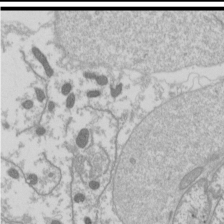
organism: Drosophila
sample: Cell division; meiosis; drosophila spermatocytes